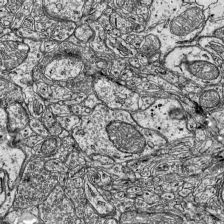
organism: Mouse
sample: Visual Cortex